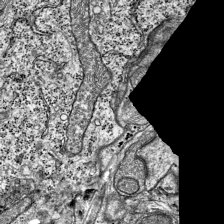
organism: Mouse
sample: Visual Cortex